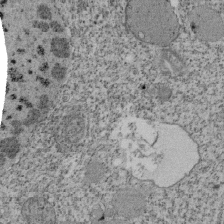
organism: Tetrahymena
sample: Cilia in tetrahymena